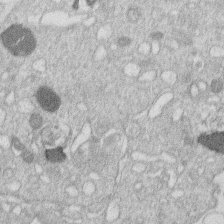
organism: Human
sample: Macrophage cells